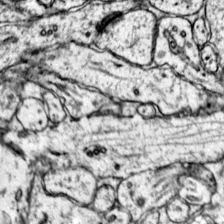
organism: Mouse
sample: Primary visual cortex